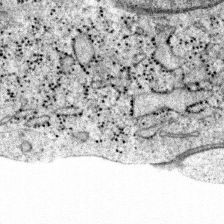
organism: Human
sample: HeLa cells